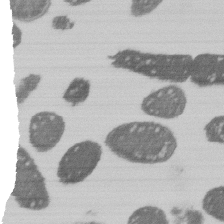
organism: E. coli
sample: Bacterial nucleoid